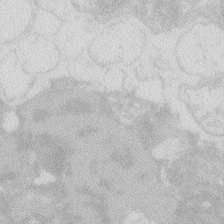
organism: Zebrafish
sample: Macrophage